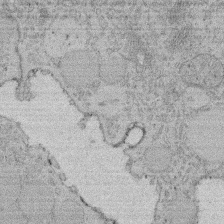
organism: Rat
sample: Salivary granule